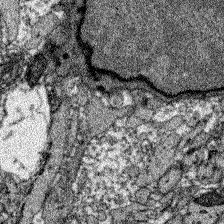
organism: Zebrafish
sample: Larval olfactory bulb